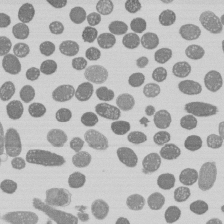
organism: E. coli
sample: Bacterial nucleoid